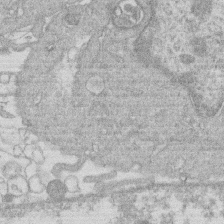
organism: Human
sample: Macrophage cells